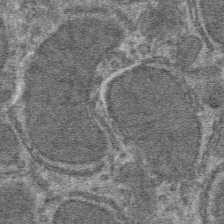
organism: Mouse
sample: Mouse hepatocytes